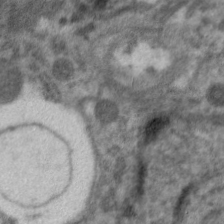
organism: C. elegans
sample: Pharynx